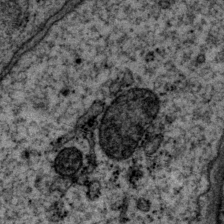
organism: P. pacificus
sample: Pharynx